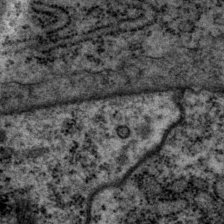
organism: P. pacificus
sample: Pharynx